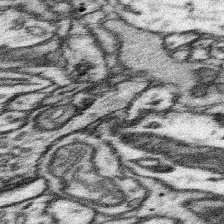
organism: Mouse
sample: Somatosensory cortex neuropil